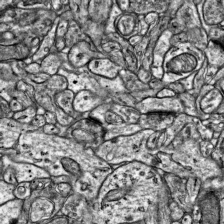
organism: Mouse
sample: Visual Cortex